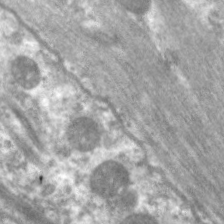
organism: C. elegans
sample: Pharynx